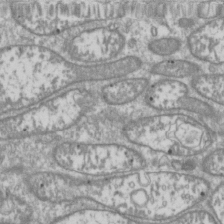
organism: Drosophila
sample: Cell division; meiosis; drosophila spermatocytes